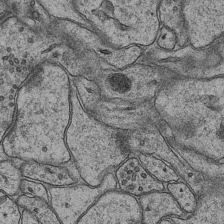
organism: Mouse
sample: CA1 Hippocampus